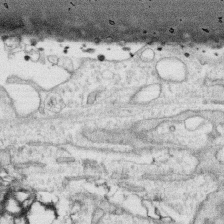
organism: Human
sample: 1205lu cells